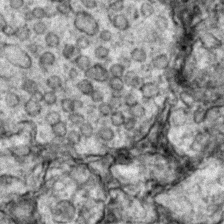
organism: Zebrafish